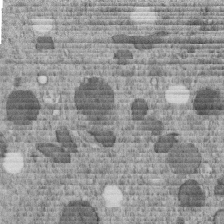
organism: C. elegans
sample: C. elegans embryo early stage